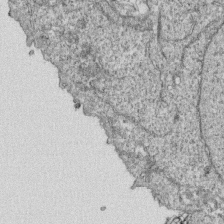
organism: Human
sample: HeLa cell HIV synapse